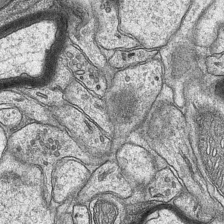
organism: Mouse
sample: CA1 Hippocampus